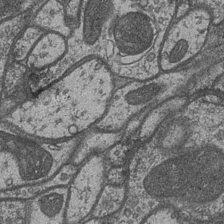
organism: Drosophila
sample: Optic medulla